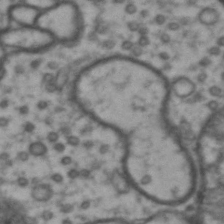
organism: Drosophila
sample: Brain